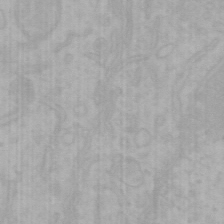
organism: Mouse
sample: Choroid plexus